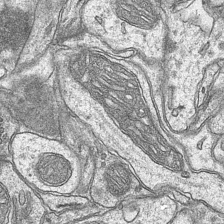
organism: Mouse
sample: CA1 Hippocampus